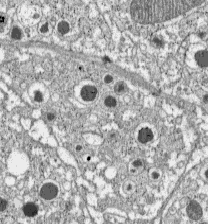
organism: C57BL Mouse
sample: Pancreatic islet